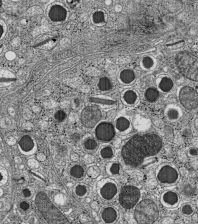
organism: C57BL Mouse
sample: Pancreatic islet